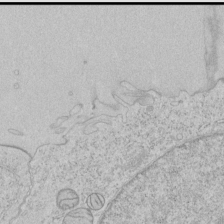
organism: Human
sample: Mitochondria in HCT116 cells